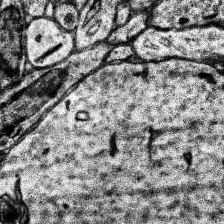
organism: Human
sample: Temporal Lobe